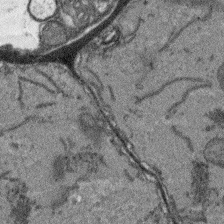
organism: Arabidopsis thaliana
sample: Root tip